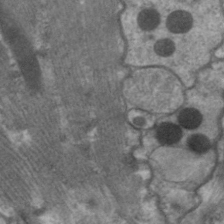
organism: C. elegans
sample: Pharynx